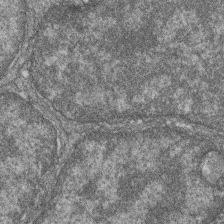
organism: Zebrafish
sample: Cilia; retinal pigment epithelium